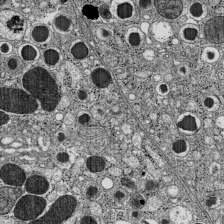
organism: C57BL Mouse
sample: Pancreatic islet